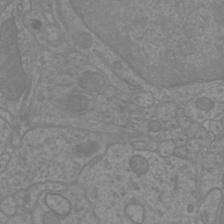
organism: Mouse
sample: Cortical neurons